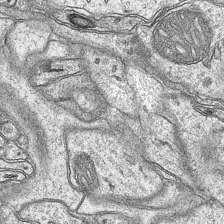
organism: Mouse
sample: CA1 Hippocampus